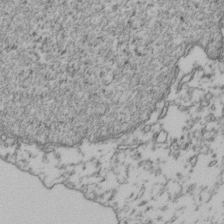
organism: Human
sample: Activated Jurkat CD4+ T cells